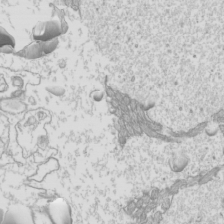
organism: Mouse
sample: Cilia; mouse epididymis